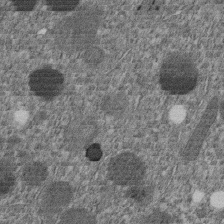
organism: C. elegans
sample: C. elegans embryo early stage